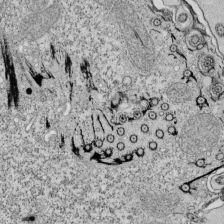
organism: Tetrahymena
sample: Cilia in tetrahymena